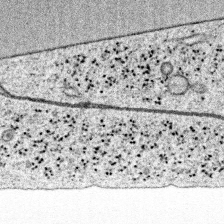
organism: Human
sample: HeLa cells